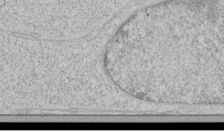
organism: Human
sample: Mitochondria in HCT116 cells